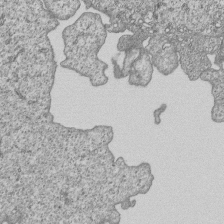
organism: Human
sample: MDA-MB-231 cells